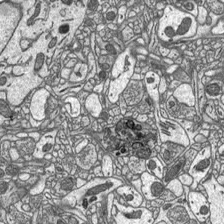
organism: C57BL Mouse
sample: Optic nerve head